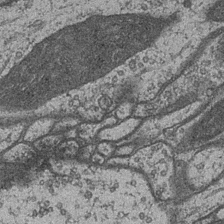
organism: Drosophila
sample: Optic medulla